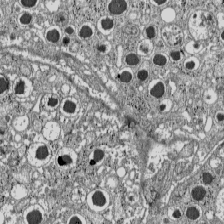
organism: C57BL Mouse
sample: Pancreatic islet